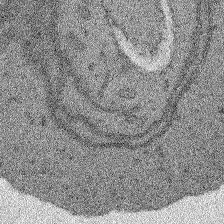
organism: Human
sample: HeLa cells